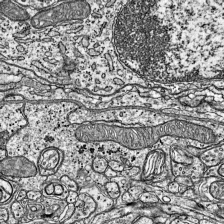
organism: Mouse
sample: Visual Cortex